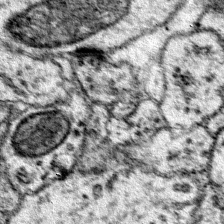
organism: Mouse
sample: Primary visual cortex